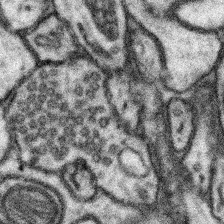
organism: Mouse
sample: Somatosensory cortex neuropil